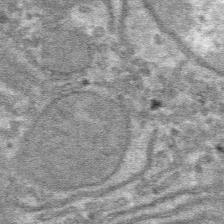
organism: Mouse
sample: Mouse hepatocytes